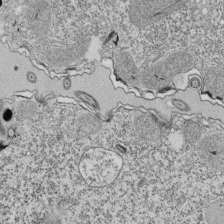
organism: Tetrahymena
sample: Cilia in tetrahymena